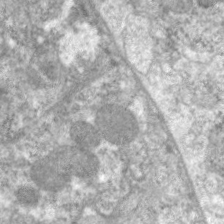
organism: C. elegans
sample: Pharynx